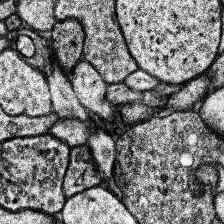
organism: Human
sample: Temporal Lobe